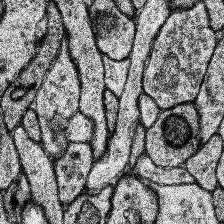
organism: Human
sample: Temporal Lobe